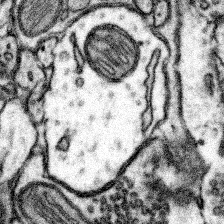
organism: Mouse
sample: Somatosensory cortex neuropil